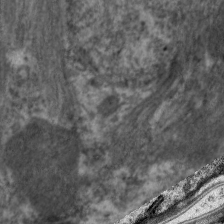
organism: C. elegans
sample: Pharynx